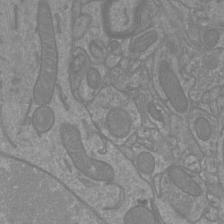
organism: Mouse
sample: Cortical neurons